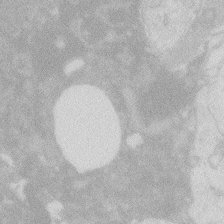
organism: Zebrafish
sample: Macrophage